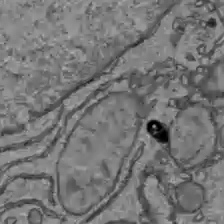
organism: C57BL Mouse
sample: Liver